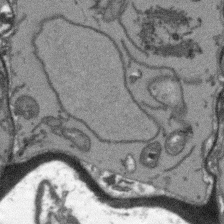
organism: Arabidopsis thaliana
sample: Root tip